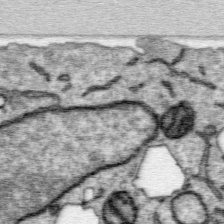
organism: Human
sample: HeLa cells